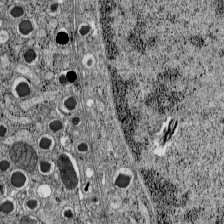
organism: C57BL Mouse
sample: Pancreatic islet